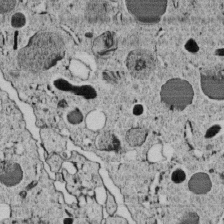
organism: C. elegans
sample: C. elegans embryo early stage